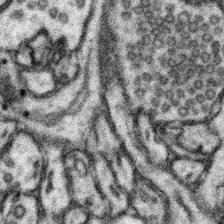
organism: Mouse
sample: Somatosensory cortex neuropil